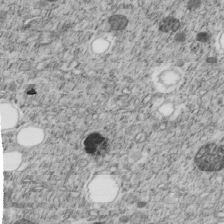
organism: C. elegans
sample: C. elegans embryo early stage